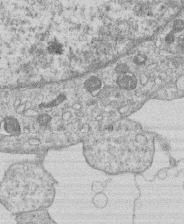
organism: Human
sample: Macrophage cells